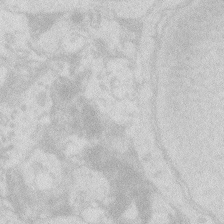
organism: Zebrafish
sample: Macrophage